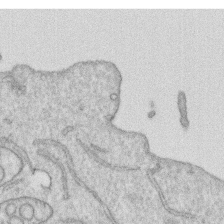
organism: Human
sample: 1205lu cells